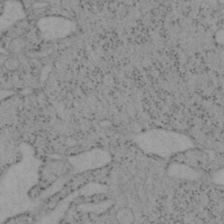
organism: Mouse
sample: OT-I killer T cells with ID8 ovarian cancer cells